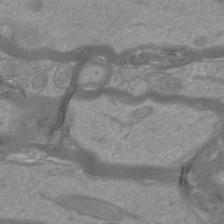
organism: Mouse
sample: Cortical neurons